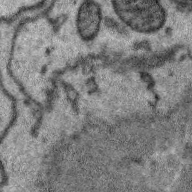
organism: Zebra finch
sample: Brain